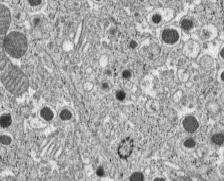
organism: C57BL Mouse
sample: Pancreatic islet